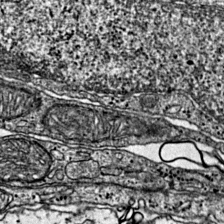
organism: Mouse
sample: Primary visual cortex